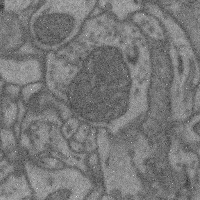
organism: Mouse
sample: Cerebral cortex